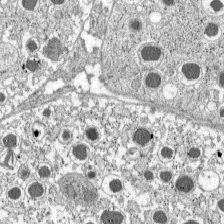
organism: C57BL Mouse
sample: Pancreatic islet